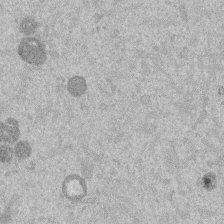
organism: Mouse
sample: Dividing mouse embryo 1 cell stage